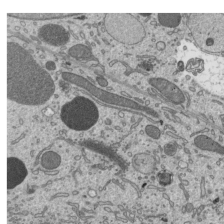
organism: Mouse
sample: Mouse epididymis efferent ductule cilia